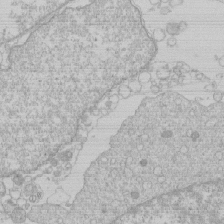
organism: Human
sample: Macrophage cells